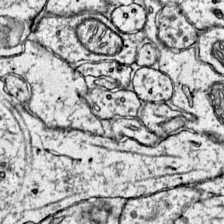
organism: Mouse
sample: Primary visual cortex